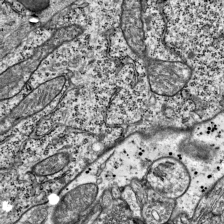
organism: Mouse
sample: Visual Cortex